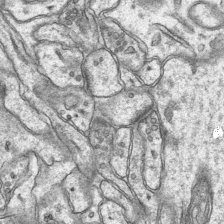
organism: Mouse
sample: CA1 Hippocampus